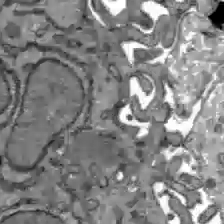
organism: C57BL Mouse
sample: Liver